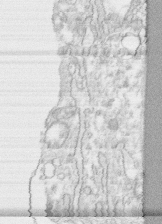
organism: Human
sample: CRL-1474